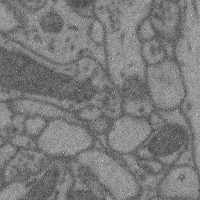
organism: Mouse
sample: Cerebral cortex